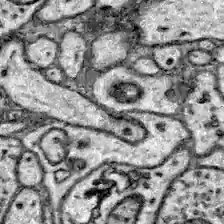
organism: Zebrafish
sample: Brain